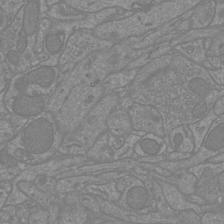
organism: Mouse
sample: Cortical neurons